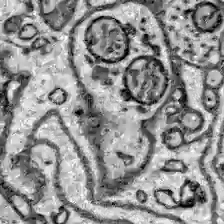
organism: Zebrafish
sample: Brain